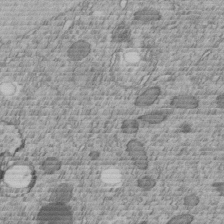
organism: C. elegans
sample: C. elegans embryo early stage